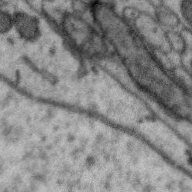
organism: Zebra finch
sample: Brain